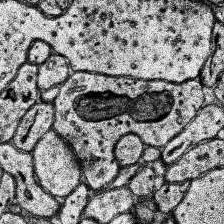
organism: Human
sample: Temporal Lobe